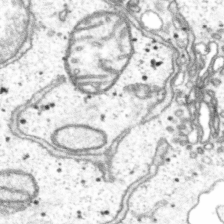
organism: Human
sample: HeLa cells